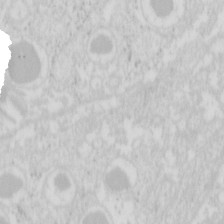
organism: Mouse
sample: Pancreas